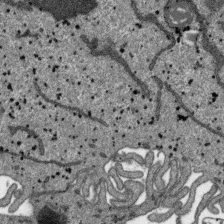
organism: Human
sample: Lung epithelial cells, uninfected (mock) control